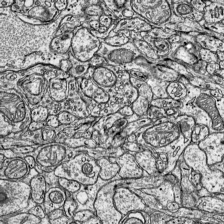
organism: Mouse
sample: Visual Cortex